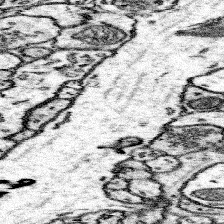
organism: Mouse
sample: Somatosensory cortex neuropil